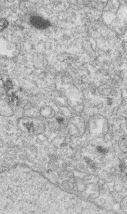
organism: Human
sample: HeLa cell HIV synapse